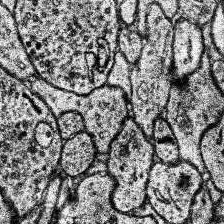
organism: Human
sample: Temporal Lobe